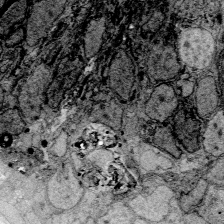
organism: Zebrafish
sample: Whole-Brain